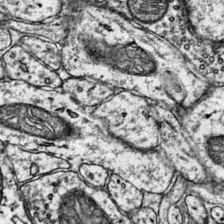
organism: Mouse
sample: Primary visual cortex